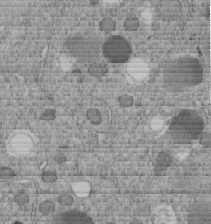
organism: C. elegans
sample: C. elegans embryo early stage